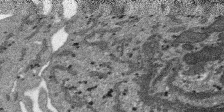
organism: Human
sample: Lung epithelial cells infected with SARS-CoV-2